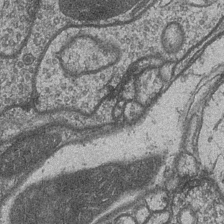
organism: Drosophila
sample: Optic medulla